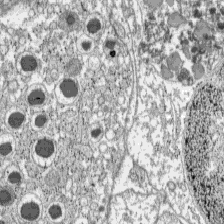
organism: C57BL Mouse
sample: Pancreatic islet